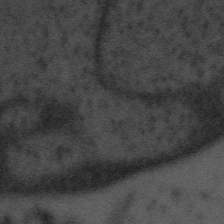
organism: Tuwongella immobilis